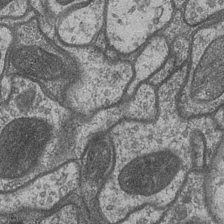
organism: Drosophila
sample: Optic medulla